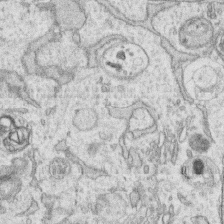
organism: Human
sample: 1205lu cells